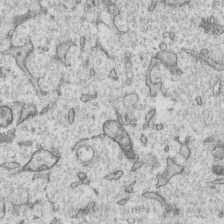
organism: Human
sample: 1205lu cells